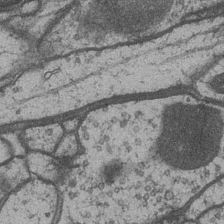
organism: Drosophila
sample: Optic medulla